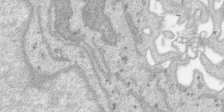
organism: Human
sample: Lung epithelial cells infected with SARS-CoV-2